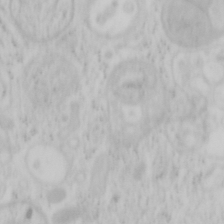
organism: Mouse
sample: OT-I killer T cells with ID8 ovarian cancer cells